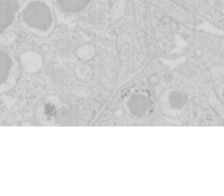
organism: Mouse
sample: Pancreas